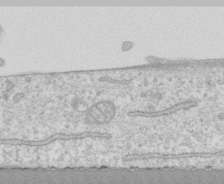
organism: Human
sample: CRL-1474